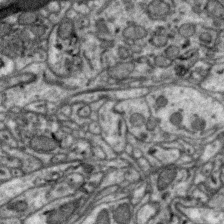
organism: Zebra finch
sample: Brain